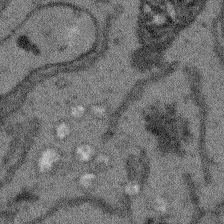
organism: Arabidopsis thaliana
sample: Root tip